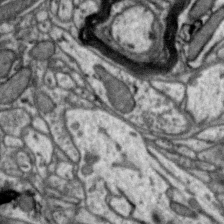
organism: Zebra finch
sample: Brain